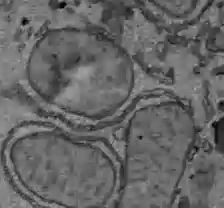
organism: C57BL Mouse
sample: Liver